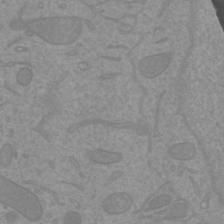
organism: Mouse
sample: Cortical neurons